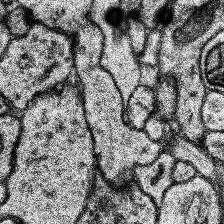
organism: Human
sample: Temporal Lobe